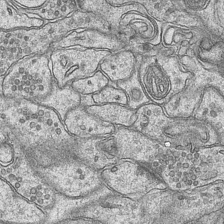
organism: Mouse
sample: CA1 Hippocampus